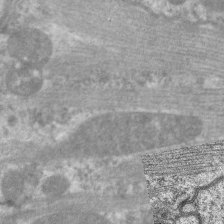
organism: C. elegans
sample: Pharynx